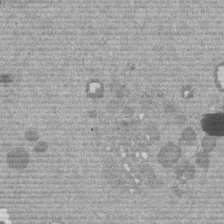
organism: Mouse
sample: Dividing mouse embryo 1 cell stage